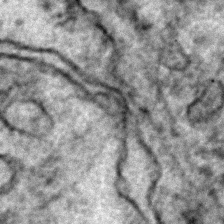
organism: Zebrafish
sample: Zebrafish embryo